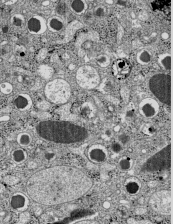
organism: C57BL Mouse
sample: Pancreatic islet